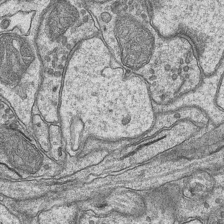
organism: Mouse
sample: CA1 Hippocampus